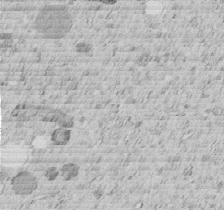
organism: C. elegans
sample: C. elegans embryo early stage